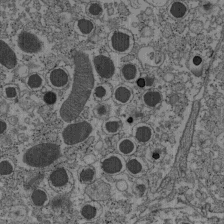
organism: C57BL Mouse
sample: Pancreatic islet